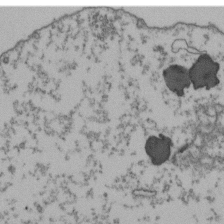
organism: Human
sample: Activated Jurkat CD4+ T cells